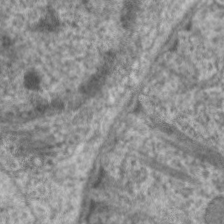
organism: C. elegans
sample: Pharynx